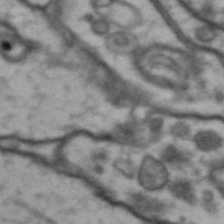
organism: Drosophila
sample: Brain